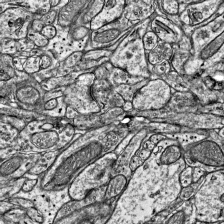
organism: Mouse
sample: Visual Cortex